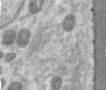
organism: Human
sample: Centriole in RPE cells